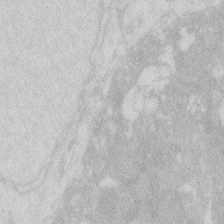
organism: Zebrafish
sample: Macrophage